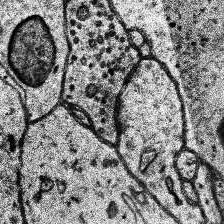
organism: Human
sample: Temporal Lobe